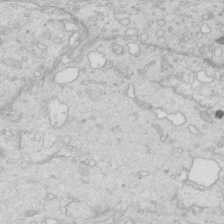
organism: Mouse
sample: Multiciliated cells